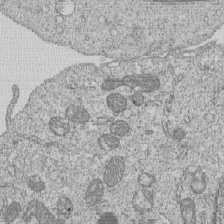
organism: Human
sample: MDA-MB-231 cells